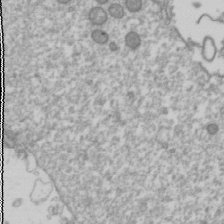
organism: Drosophila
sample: Cell division; meiosis; drosophila spermatocytes